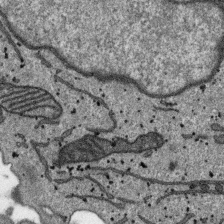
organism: Human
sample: Lung epithelial cells, uninfected (mock) control